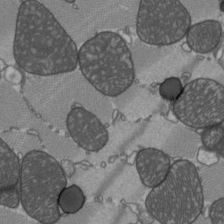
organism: C57BL Mouse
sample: Heart